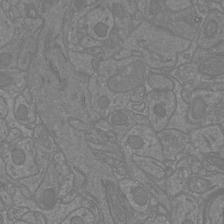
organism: Mouse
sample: Cortical neurons